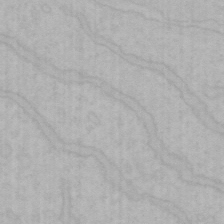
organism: Mouse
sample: Choroid plexus